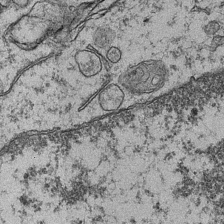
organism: Mouse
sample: CA1 Hippocampus